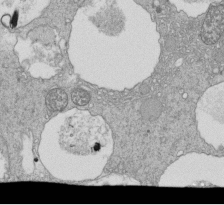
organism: Tetrahymena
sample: Cilia in tetrahymena